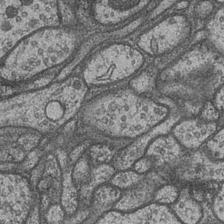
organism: Drosophila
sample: Optic medulla